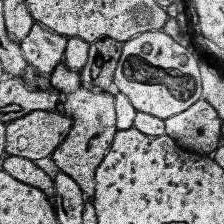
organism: Human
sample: Temporal Lobe